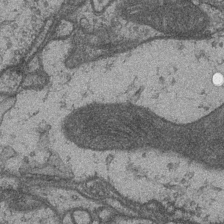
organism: Drosophila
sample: Optic medulla